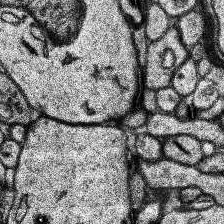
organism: Human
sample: Temporal Lobe